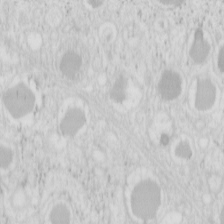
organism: Mouse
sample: Pancreas